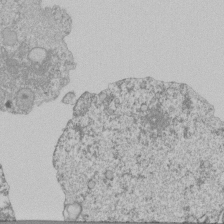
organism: Mouse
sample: Activated Pmel transgenic CD8+ T Cells